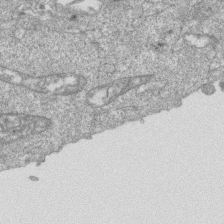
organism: Human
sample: HeLa cell HIV synapse